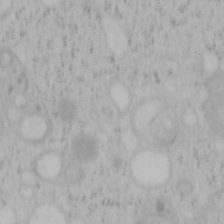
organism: Mouse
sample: OT-I killer T cells with ID8 ovarian cancer cells